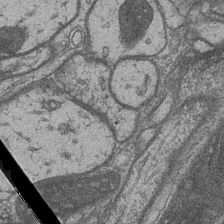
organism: Drosophila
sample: Optic medulla